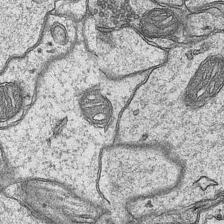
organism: Mouse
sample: CA1 Hippocampus